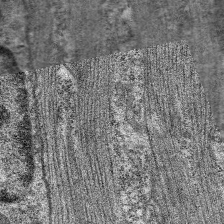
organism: C. elegans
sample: Pharynx